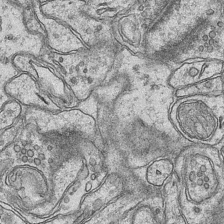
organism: Mouse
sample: CA1 Hippocampus